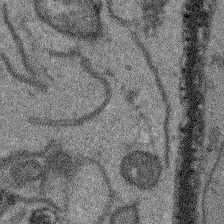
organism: Arabidopsis thaliana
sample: Root tip